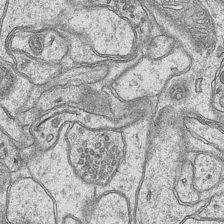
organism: Mouse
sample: CA1 Hippocampus